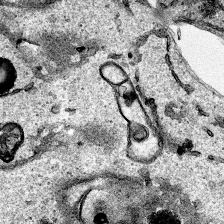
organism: Human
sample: Mitochondria in HCT116 cells